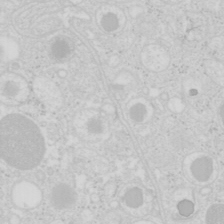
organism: Mouse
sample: Pancreas